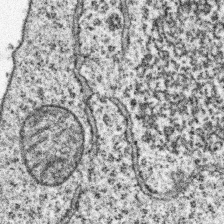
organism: Human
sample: HeLa cells